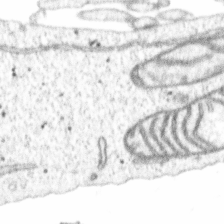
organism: Human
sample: HeLa cells